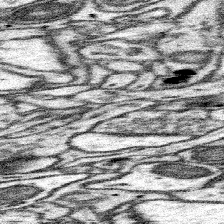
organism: Mouse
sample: Somatosensory cortex neuropil